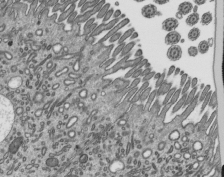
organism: Mouse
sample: Mouse epididymis efferent ductule cilia